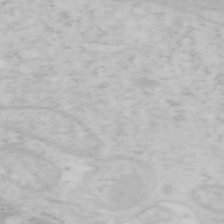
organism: Mouse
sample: OT-I killer T cells with ID8 ovarian cancer cells